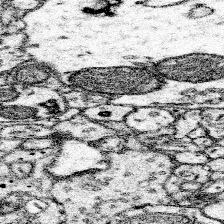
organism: Mouse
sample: Somatosensory cortex neuropil